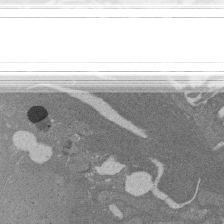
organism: Rat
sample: Salivary granule